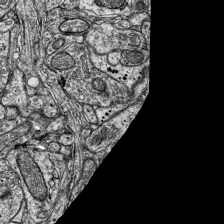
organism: Mouse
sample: Visual Cortex